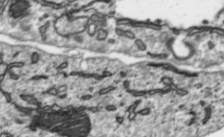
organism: Toxoplasma gondii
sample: Parasites in a vacuole inside a host cell